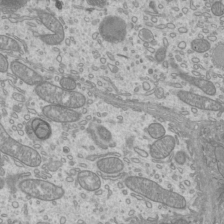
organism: Mouse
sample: Cilia; mouse epididymis